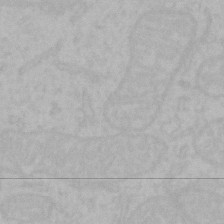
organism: Mouse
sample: Choroid plexus